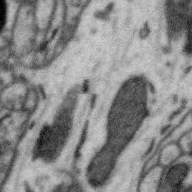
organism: Zebra finch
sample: Brain